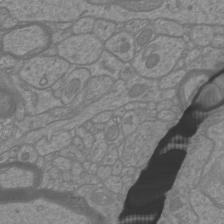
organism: Mouse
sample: Cortical neurons